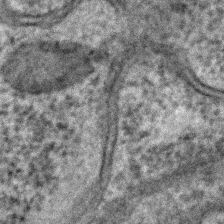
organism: C. elegans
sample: C. elegans embryo